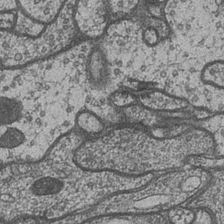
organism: Drosophila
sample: Optic medulla